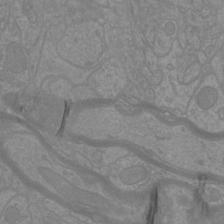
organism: Mouse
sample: Cortical neurons